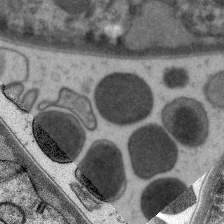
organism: C. elegans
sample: Pharynx